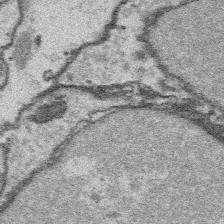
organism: Platynereis dumerilii